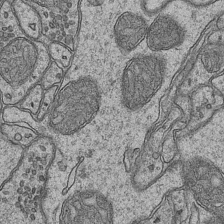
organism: Mouse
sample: CA1 Hippocampus